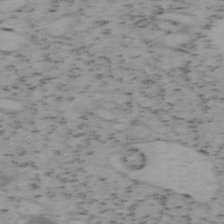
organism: Mouse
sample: OT-I killer T cells with ID8 ovarian cancer cells